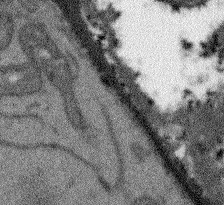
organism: Arabidopsis thaliana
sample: Root tip